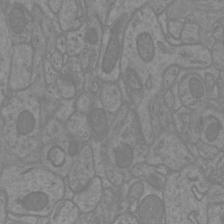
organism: Mouse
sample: Cortical neurons